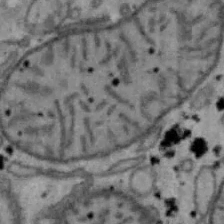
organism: Mouse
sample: Liver